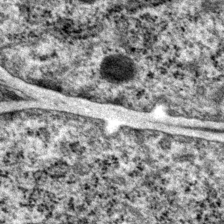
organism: P. pacificus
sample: Pharynx